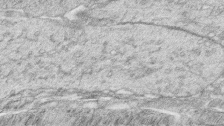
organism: Zebrafish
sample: synaptic ribbons in rod cells and cone cells